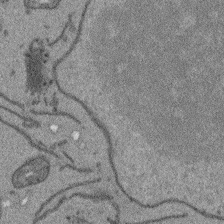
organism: Arabidopsis thaliana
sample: Root tip